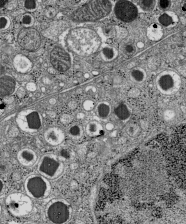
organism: C57BL Mouse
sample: Pancreatic islet